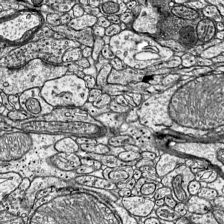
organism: Mouse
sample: Visual Cortex